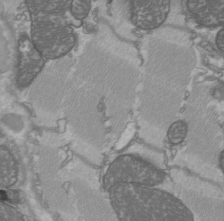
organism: C57BL Mouse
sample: Heart